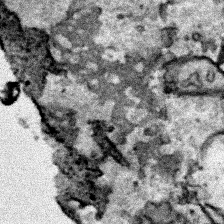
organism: Human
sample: Mitochondria in HCT116 cells